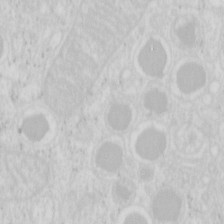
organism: Mouse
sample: Pancreas